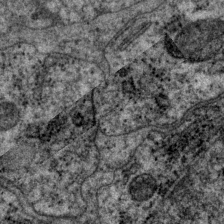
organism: P. pacificus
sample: Pharynx